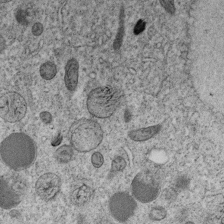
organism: C. elegans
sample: C. elegans embryo early stage